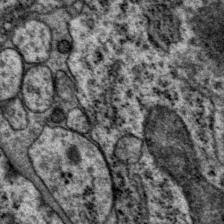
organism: P. pacificus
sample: Pharynx